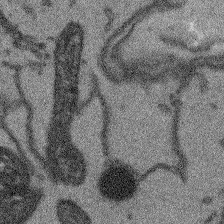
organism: Arabidopsis thaliana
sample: Root tip